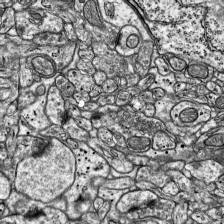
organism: Mouse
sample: Visual Cortex